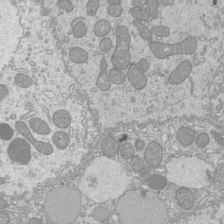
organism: Mouse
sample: Cilia; mouse epididymis